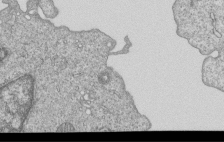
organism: Human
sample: MDA-MB-231 cells